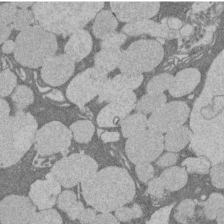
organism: Rat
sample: Salivary granule